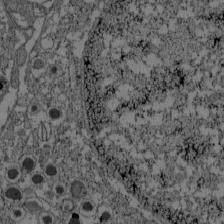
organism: C57BL Mouse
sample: Pancreatic islet